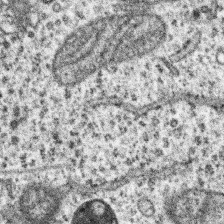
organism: Human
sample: HeLa cells